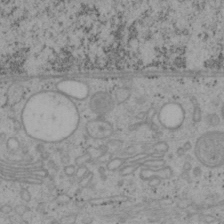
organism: Human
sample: HeLa cells